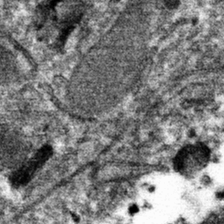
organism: Mouse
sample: Mouse hepatocytes